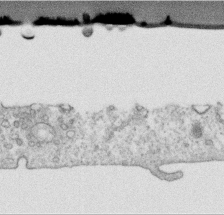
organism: Human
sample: Centriole in RPE cells